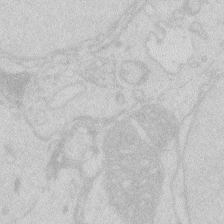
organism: Zebrafish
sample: Macrophage